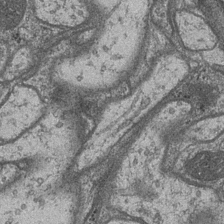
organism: Drosophila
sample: Optic medulla